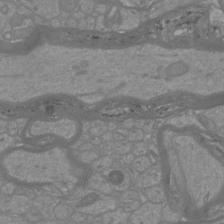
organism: Mouse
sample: Cortical neurons